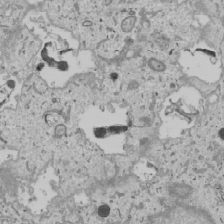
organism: Human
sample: Mitochondria in U2OS cells